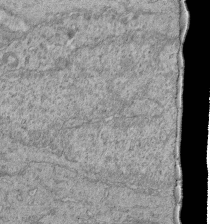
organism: Human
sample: Retinal organoid Rod and Cone cells